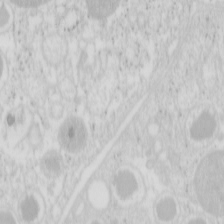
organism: Mouse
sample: Pancreas